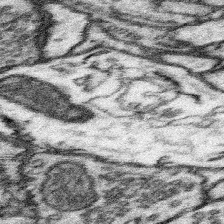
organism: Mouse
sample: Somatosensory cortex neuropil